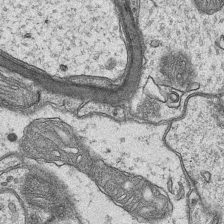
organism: Mouse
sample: CA1 Hippocampus